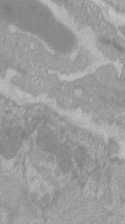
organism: C57BL Mouse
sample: Tibialis anterior muscle cell